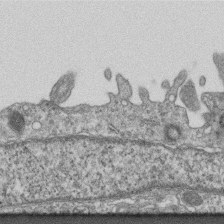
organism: Mouse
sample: Centriole in ependymal cells